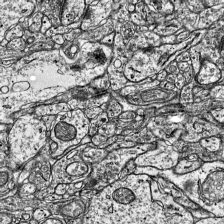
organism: Mouse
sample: Visual Cortex